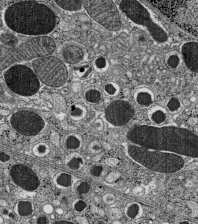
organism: C57BL Mouse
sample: Pancreatic islet